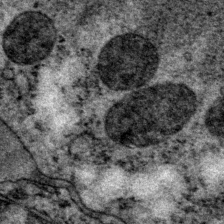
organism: P. pacificus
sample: Pharynx